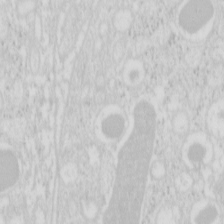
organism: Mouse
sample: Pancreas